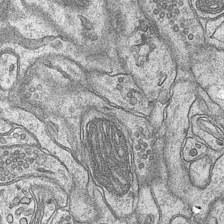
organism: Mouse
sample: CA1 Hippocampus